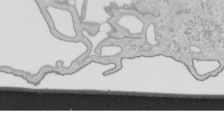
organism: Human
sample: Mitochondria in HCT116 cells